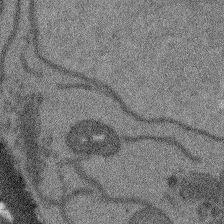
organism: Arabidopsis thaliana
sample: Root tip